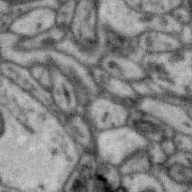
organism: Zebra finch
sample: Brain